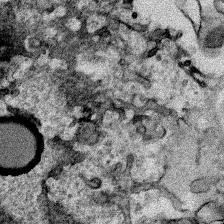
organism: Human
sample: Mitochondria in HCT116 cells